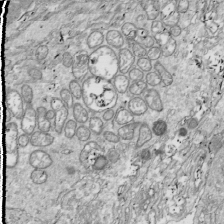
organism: Drosophila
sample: Cell division; meiosis; drosophila spermatocytes